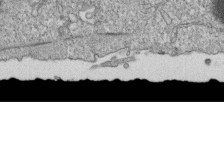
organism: Human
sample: HeLa cell HIV synapse